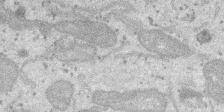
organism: Human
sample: Lung epithelial cells infected with SARS-CoV-2